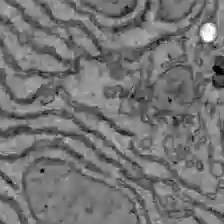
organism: C57BL Mouse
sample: Liver